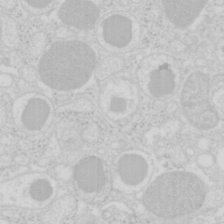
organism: Mouse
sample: Pancreas